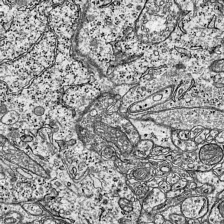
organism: Mouse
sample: Visual Cortex